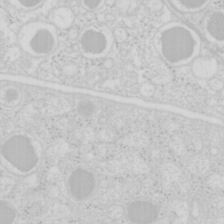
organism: Mouse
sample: Pancreas